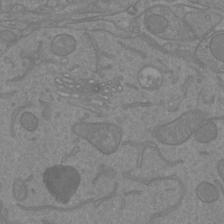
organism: Mouse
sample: Cortical neurons